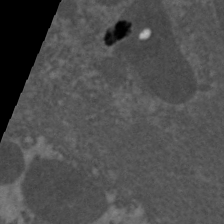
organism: C. elegans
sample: Pharynx